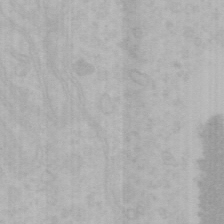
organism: Mouse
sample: Choroid plexus